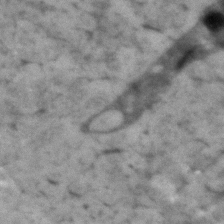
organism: Human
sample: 1205lu cells